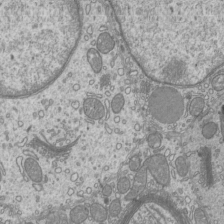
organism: Mouse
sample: Cilia; mouse epididymis